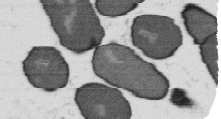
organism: B. subtilis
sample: Bacterial spore